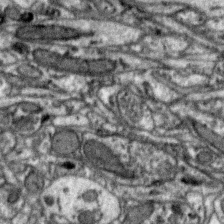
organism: Zebra finch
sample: Brain